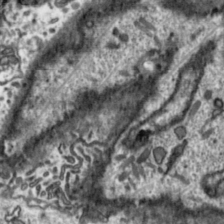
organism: Toxoplasma gondii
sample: Parasites in a vacuole inside a host cell